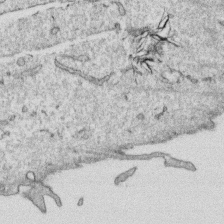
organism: Human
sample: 1205lu cells